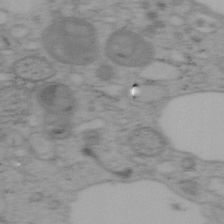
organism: Mouse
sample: OT-I killer T cells with ID8 ovarian cancer cells